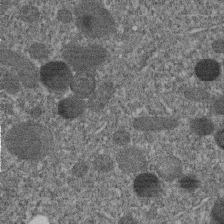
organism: C. elegans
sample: C. elegans embryo early stage